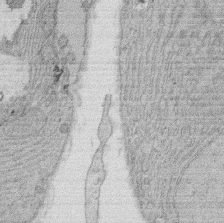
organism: Rat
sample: Salivary granule